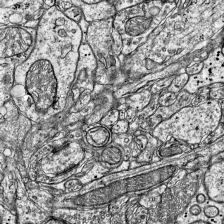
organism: Mouse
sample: Visual Cortex